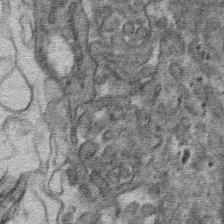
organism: Mouse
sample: Mouse hepatocytes